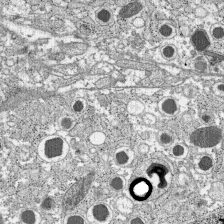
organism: C57BL Mouse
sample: Pancreatic islet